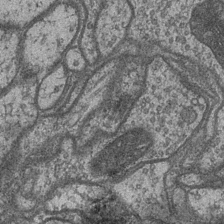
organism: Drosophila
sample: Optic medulla